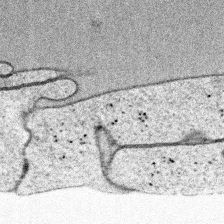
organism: Human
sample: HeLa cells